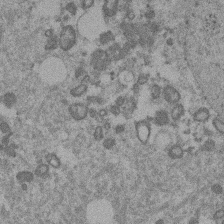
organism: Mouse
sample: Dividing mouse embryo 1 cell stage